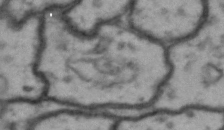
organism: Drosophila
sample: Brain